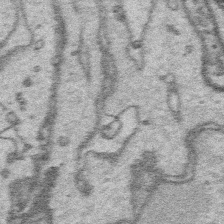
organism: Platynereis dumerilii